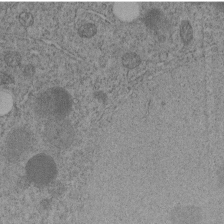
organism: C. elegans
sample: C. elegans embryo early stage